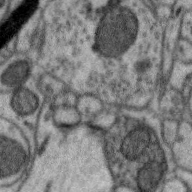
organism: Zebra finch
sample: Brain